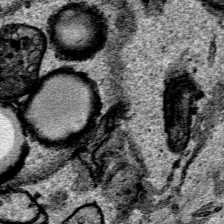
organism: Human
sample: Mitochondria in HCT116 cells